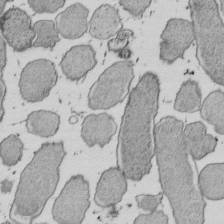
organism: E. coli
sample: Bacterial nucleoid